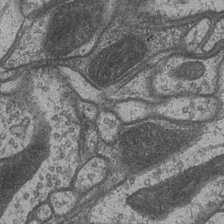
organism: Drosophila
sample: Optic medulla